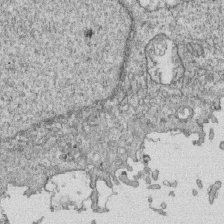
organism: Human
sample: HeLa cell HIV synapse